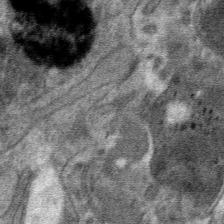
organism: Mouse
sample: Mouse hepatocytes